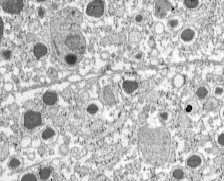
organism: C57BL Mouse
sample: Pancreatic islet